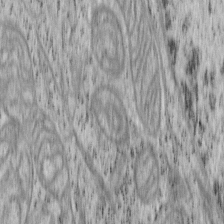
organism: Human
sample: HeLa cells